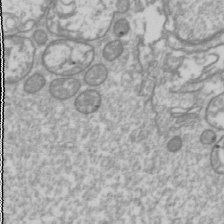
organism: Drosophila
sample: Cell division; meiosis; drosophila spermatocytes